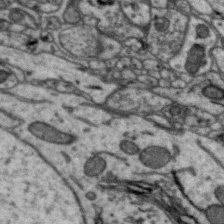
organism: Zebra finch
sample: Brain